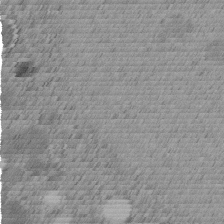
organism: C. elegans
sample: C. elegans embryo early stage